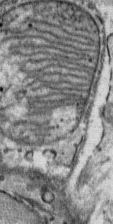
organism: Mouse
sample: Mouse Salivary gland